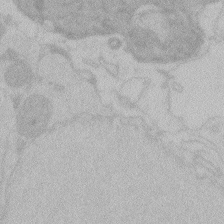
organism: Zebrafish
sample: Macrophage infected with Toxoplasma gondii